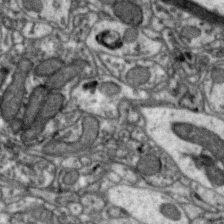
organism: Zebra finch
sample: Brain